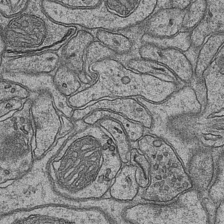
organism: Mouse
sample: CA1 Hippocampus